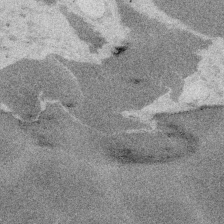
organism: Embia sp.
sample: Silk gland